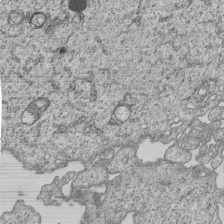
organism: Human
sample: MDA-MB-231 cells